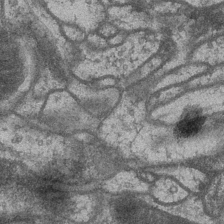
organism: Drosophila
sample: Optic medulla